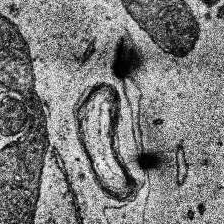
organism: Human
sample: Temporal Lobe